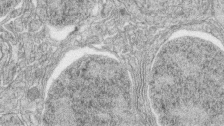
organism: Zebrafish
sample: synaptic ribbons in rod cells and cone cells